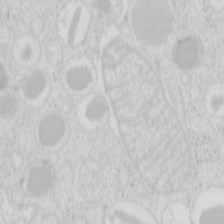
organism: Mouse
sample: Pancreas